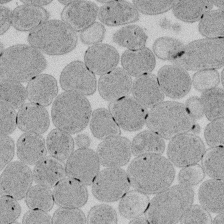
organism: E. coli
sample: Bacterial nucleoid